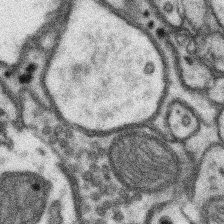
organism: Mouse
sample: Somatosensory cortex neuropil